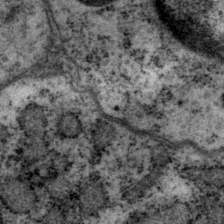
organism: P. pacificus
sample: Pharynx